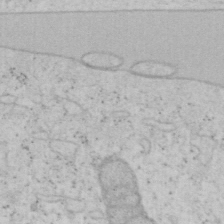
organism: Human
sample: HeLa cells